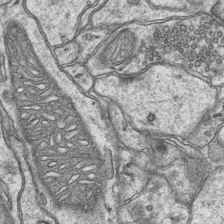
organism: Mouse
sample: CA1 Hippocampus